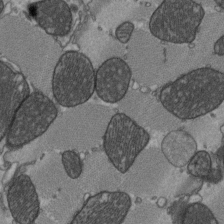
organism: C57BL Mouse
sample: Heart